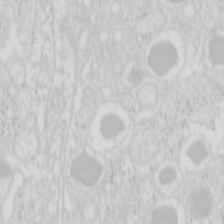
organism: Mouse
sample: Pancreas